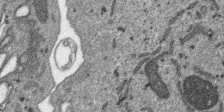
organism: Human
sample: Lung epithelial cells infected with SARS-CoV-2